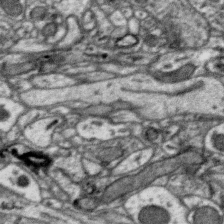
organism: Zebra finch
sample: Brain